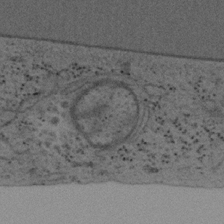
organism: Human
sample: HeLa cells